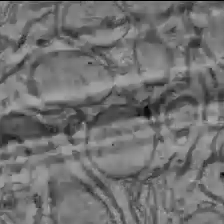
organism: C57BL Mouse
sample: Liver